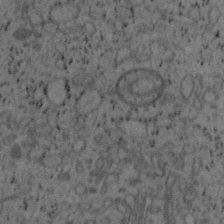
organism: Human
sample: HeLa cells